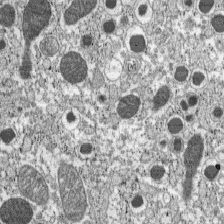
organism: C57BL Mouse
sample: Pancreatic islet